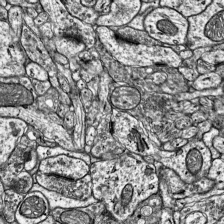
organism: Mouse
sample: Visual Cortex